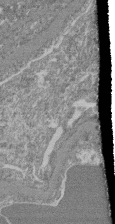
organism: Mouse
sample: Glomerulus